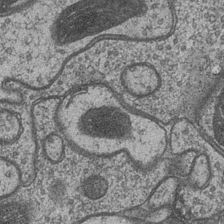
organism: Drosophila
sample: Optic medulla